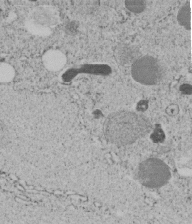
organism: C. elegans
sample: C. elegans embryo early stage